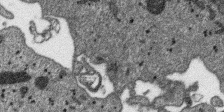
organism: Human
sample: Lung epithelial cells infected with SARS-CoV-2